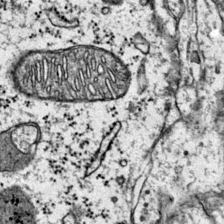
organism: Mouse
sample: Primary visual cortex